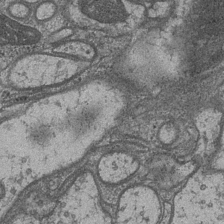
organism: Drosophila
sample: Optic medulla